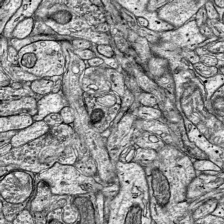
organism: Mouse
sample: Visual Cortex